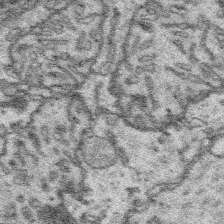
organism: Platynereis dumerilii